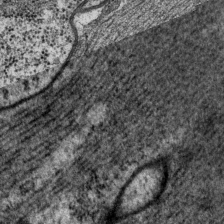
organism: P. pacificus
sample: Pharynx